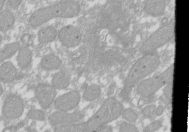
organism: Xenopus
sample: Cilia; centrioles in frog embryo cells